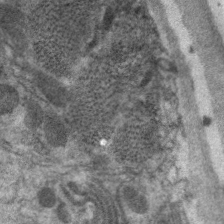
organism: C. elegans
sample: Pharynx